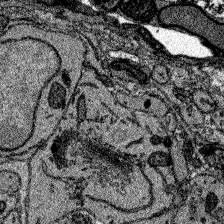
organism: Zebrafish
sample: Larval olfactory bulb